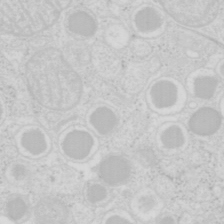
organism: Mouse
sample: Pancreas